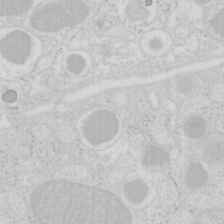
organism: Mouse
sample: Pancreas